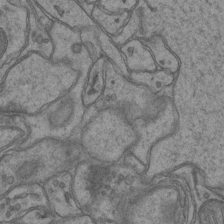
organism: Mouse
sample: CA1 Hippocampus